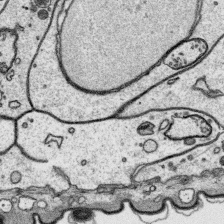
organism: Platynereis dumerilii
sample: Parapodia